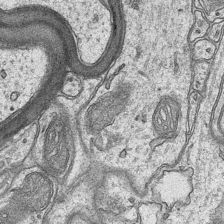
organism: Mouse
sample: CA1 Hippocampus